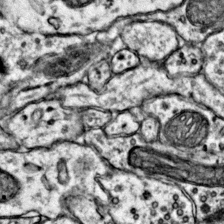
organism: Mouse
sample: Primary visual cortex